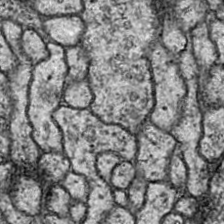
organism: Drosophila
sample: Ventral Nerve Cord